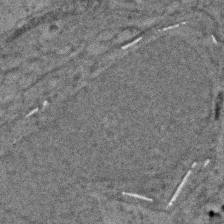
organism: Zebrafish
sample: Zebrafish embryo